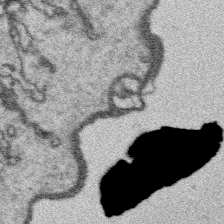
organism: Platynereis dumerilii